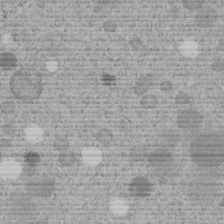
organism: C. elegans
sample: C. elegans embryo early stage